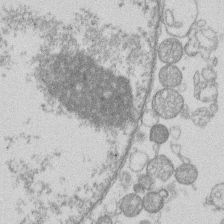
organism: Human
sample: Macrophage cells